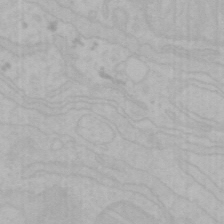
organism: Mouse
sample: Choroid plexus